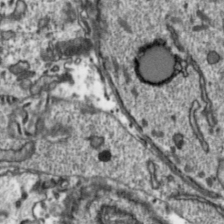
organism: Toxoplasma gondii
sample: Parasites in a vacuole inside a host cell